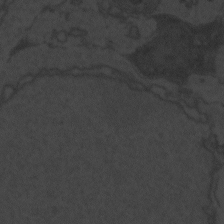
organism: Zebrafish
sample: Macrophage infected with Toxoplasma gondii